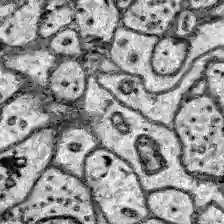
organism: Zebrafish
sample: Brain